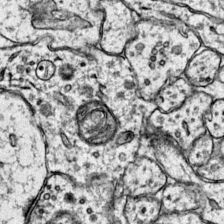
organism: Mouse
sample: Primary visual cortex